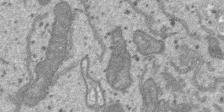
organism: Human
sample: Lung epithelial cells infected with SARS-CoV-2